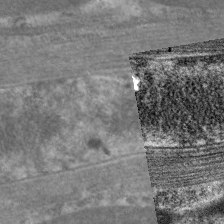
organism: C. elegans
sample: Pharynx